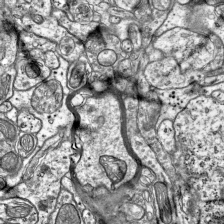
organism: Mouse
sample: Visual Cortex